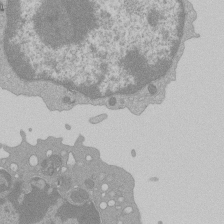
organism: Mouse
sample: Activated Pmel transgenic CD8+ T Cells